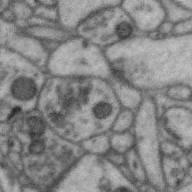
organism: Zebra finch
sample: Brain